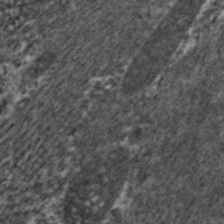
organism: C. elegans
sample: Pharynx